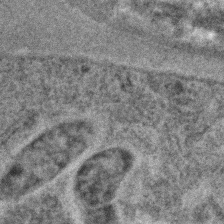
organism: C. elegans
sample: C. elegans embryo